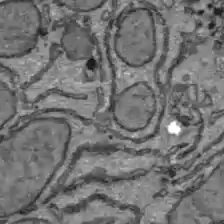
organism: C57BL Mouse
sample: Liver